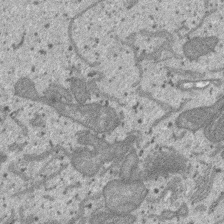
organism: Human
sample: Lung epithelial cells infected with SARS-CoV-2